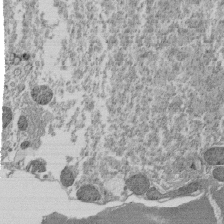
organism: Tetrahymena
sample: Cilia in tetrahymena